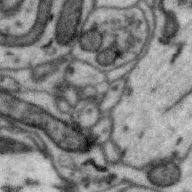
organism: Zebra finch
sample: Brain